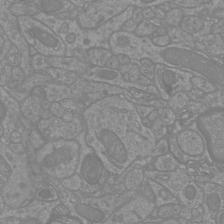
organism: Mouse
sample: Cortical neurons